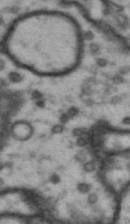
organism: Drosophila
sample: Brain